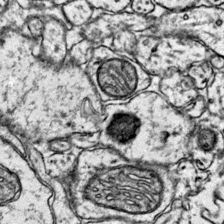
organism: Mouse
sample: Primary visual cortex